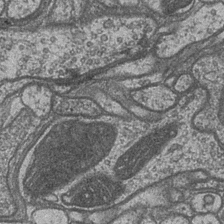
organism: Drosophila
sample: Optic medulla